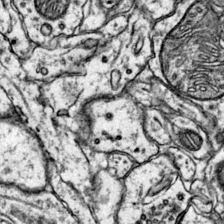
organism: Mouse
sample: Primary visual cortex